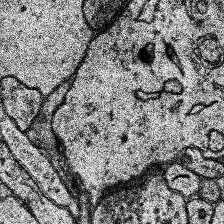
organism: Human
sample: Temporal Lobe